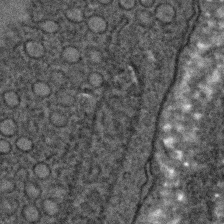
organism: C. elegans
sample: C. elegans embryo